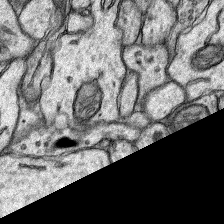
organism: Rat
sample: Hippocampus